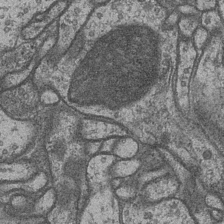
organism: Drosophila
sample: Optic medulla